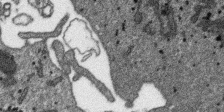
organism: Human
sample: Lung epithelial cells infected with SARS-CoV-2